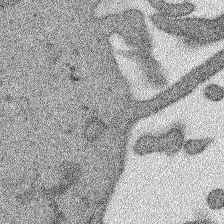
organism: Human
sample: HeLa cells